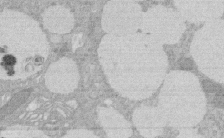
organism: Rat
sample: Salivary granule